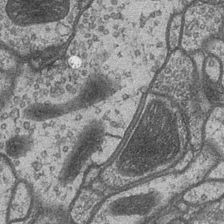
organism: Drosophila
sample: Optic medulla